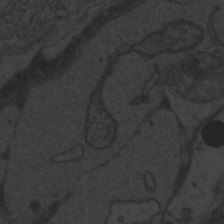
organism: Zebrafish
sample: Macrophage infected with Toxoplasma gondii